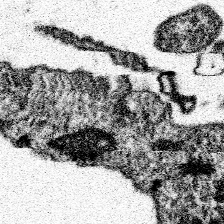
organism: Spongilla lacustris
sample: Neuroid cell